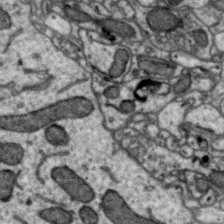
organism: Zebra finch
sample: Brain